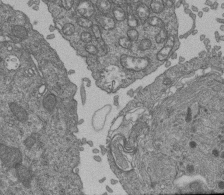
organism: Human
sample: Retinal organoid Rod and Cone cells